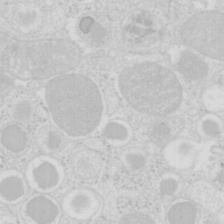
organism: Mouse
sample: Pancreas